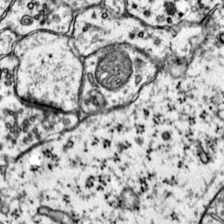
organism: Mouse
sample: Primary visual cortex